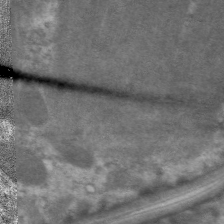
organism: C. elegans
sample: Pharynx